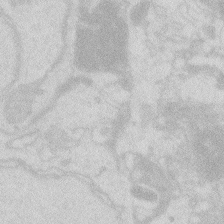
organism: Zebrafish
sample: Macrophage